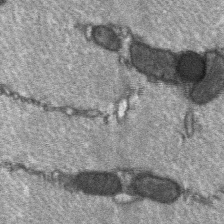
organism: C57BL Mouse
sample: Soleus